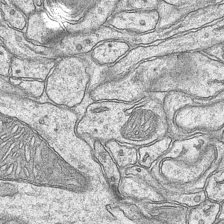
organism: Mouse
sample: CA1 Hippocampus